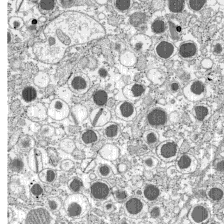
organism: C57BL Mouse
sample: Pancreatic islet